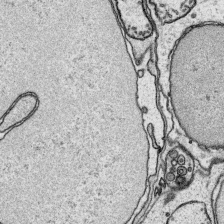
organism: Platynereis dumerilii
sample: Parapodia